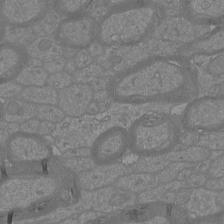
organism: Mouse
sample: Cortical neurons